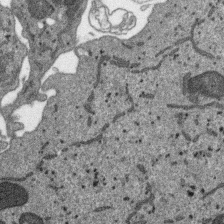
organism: Human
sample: Lung epithelial cells infected with SARS-CoV-2